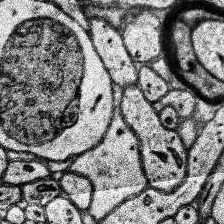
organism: Human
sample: Temporal Lobe